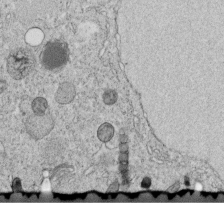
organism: C. elegans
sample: C. elegans embryo early stage